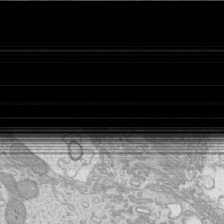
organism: Mouse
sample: Cilia; mouse epididymis